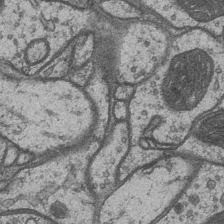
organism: Drosophila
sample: Optic medulla